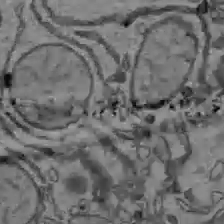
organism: C57BL Mouse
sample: Liver